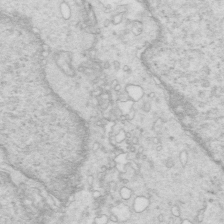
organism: Mouse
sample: Multiciliated cells